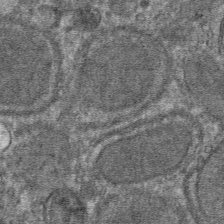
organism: Mouse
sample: Mouse hepatocytes